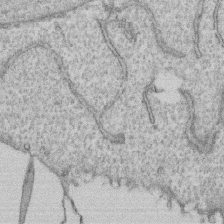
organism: Human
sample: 1205lu cells